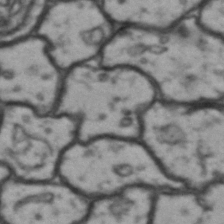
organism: Drosophila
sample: Brain